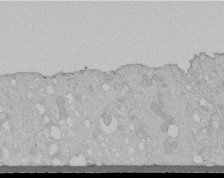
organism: Human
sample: Melanocyte Keratinocyte synapse skin construct